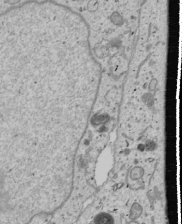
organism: Human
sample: Mitochondria in U2OS cells